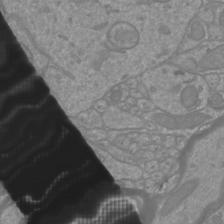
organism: Mouse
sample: Cortical neurons